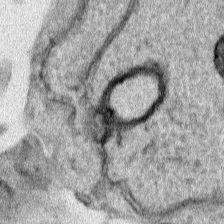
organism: Human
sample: Mitochondria in HCT116 cells